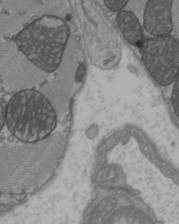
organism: C57BL Mouse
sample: Heart